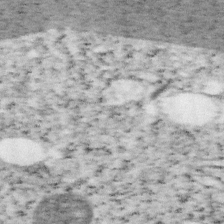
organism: Mouse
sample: OT-I killer T cells with ID8 ovarian cancer cells